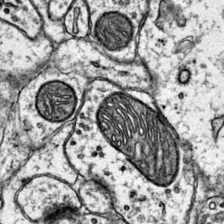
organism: Mouse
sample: Primary visual cortex